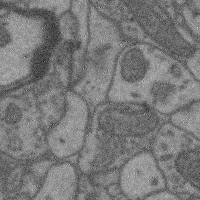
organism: Mouse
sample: Cerebral cortex